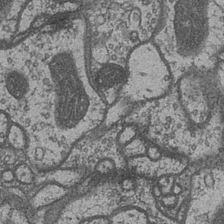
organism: Drosophila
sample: Optic medulla